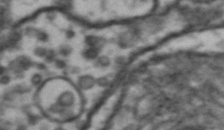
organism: Drosophila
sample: Brain